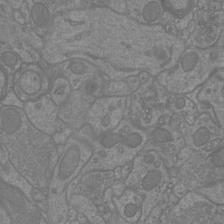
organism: Mouse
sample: Cortical neurons